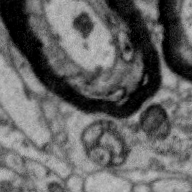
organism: Zebra finch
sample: Brain